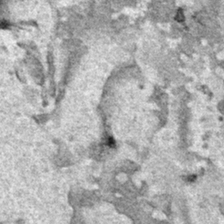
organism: Human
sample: Mitochondria in HCT116 cells